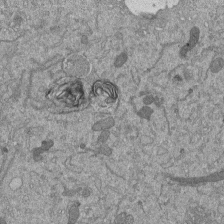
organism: Mouse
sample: ED-1 cell nuclei; centrioles